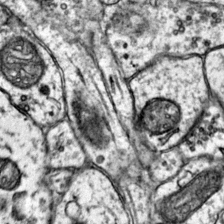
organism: Mouse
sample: Primary visual cortex